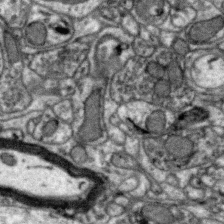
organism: Zebra finch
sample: Brain